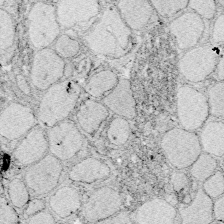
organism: Zebrafish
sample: Whole-Brain